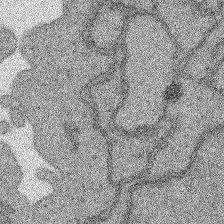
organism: Human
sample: HeLa cells